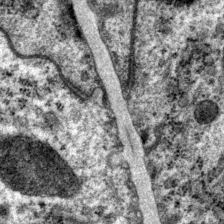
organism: P. pacificus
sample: Pharynx